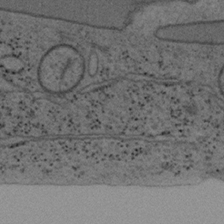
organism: Human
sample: HeLa cells